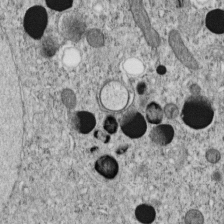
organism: C. elegans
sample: C. elegans embryo early stage